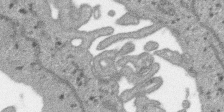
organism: Human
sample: Lung epithelial cells infected with SARS-CoV-2